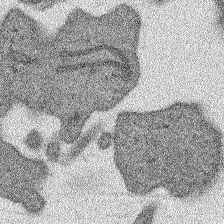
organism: Human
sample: HeLa cells